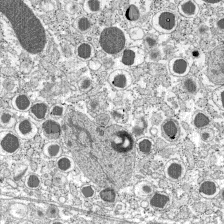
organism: C57BL Mouse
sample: Pancreatic islet